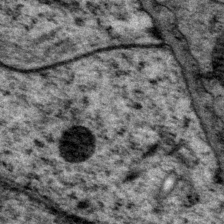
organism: P. pacificus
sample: Pharynx